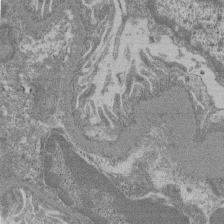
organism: Mouse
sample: Glomerulus